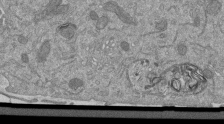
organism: Mouse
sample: ED-1 cell nuclei; centrioles